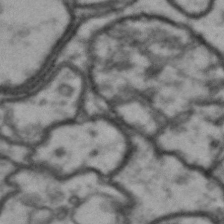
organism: Drosophila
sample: Brain